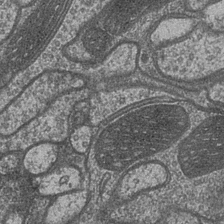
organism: Drosophila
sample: Optic medulla